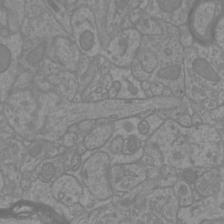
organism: Mouse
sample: Cortical neurons